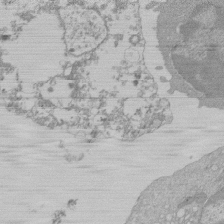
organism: Mouse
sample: Activated Pmel transgenic CD8+ T Cells